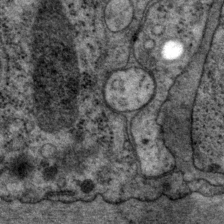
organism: P. pacificus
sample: Pharynx